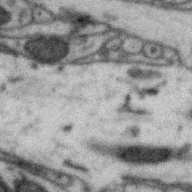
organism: Zebra finch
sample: Brain